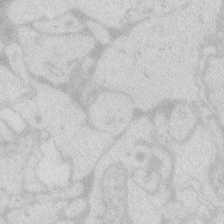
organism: Zebrafish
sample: Macrophage